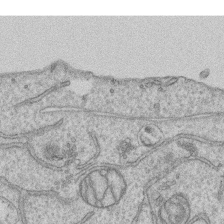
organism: Human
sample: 1205lu cells